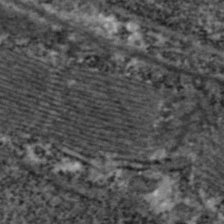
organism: Zebrafish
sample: Zebrafish embryo